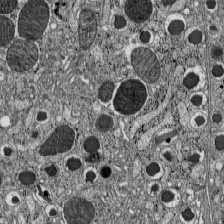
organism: C57BL Mouse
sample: Pancreatic islet